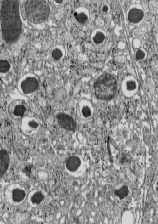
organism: C57BL Mouse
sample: Pancreatic islet